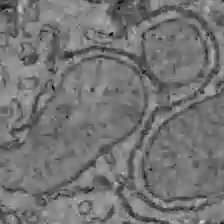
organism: C57BL Mouse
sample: Liver